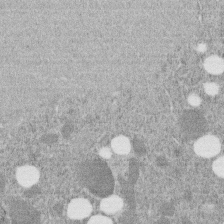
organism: C. elegans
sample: C. elegans embryo early stage